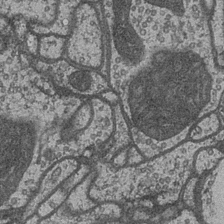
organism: Drosophila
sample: Optic medulla